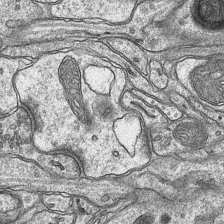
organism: Mouse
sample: CA1 Hippocampus